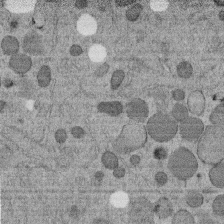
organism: C. elegans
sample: C. elegans embryo early stage